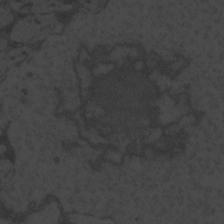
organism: Zebrafish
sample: Macrophage infected with Toxoplasma gondii